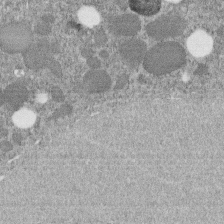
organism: C. elegans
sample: C. elegans embryo early stage